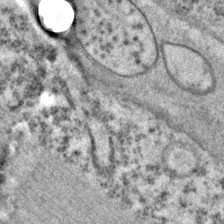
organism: C. elegans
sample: C. elegans embryo